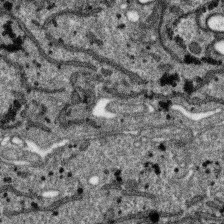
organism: Human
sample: Lung epithelial cells infected with SARS-CoV-2